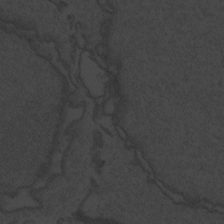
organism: Zebrafish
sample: Macrophage infected with Toxoplasma gondii